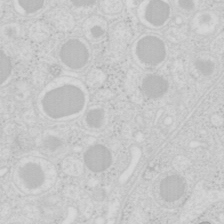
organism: Mouse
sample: Pancreas